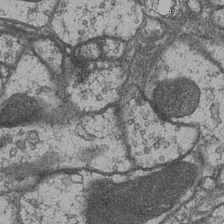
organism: Drosophila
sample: Optic medulla